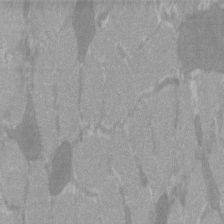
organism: C57BL Mouse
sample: Tibialis anterior muscle cell